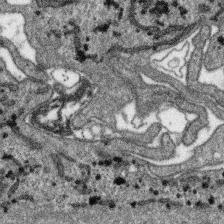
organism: Human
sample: Lung epithelial cells infected with SARS-CoV-2